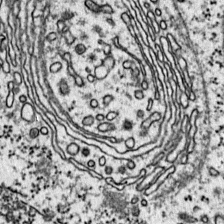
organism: Mouse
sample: Primary visual cortex